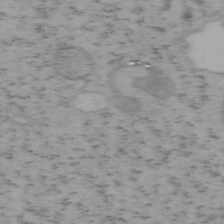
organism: Mouse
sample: OT-I killer T cells with ID8 ovarian cancer cells